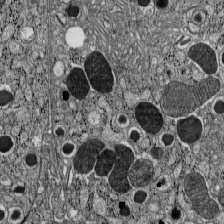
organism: C57BL Mouse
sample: Pancreatic islet